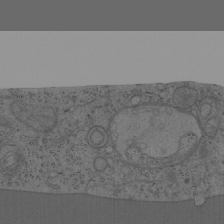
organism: Human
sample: HeLa cells